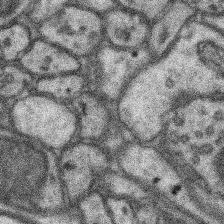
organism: Mouse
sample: Somatosensory cortex neuropil